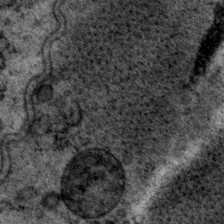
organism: P. pacificus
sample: Pharynx